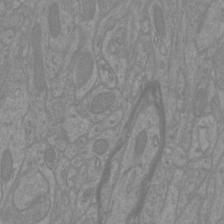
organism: Mouse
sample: Cortical neurons